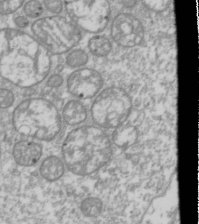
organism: Drosophila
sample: Cell division; meiosis; drosophila spermatocytes